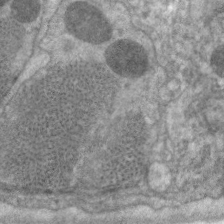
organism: C. elegans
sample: Pharynx